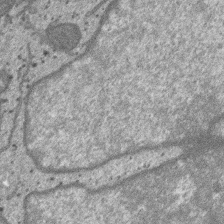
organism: Human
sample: Lung epithelial cells infected with SARS-CoV-2